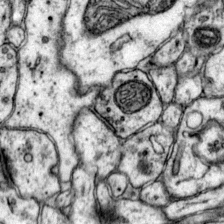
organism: Mouse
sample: Primary visual cortex